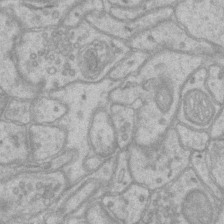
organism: Mouse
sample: CA1 Hippocampus